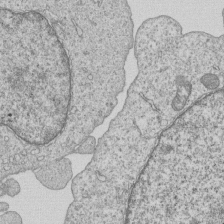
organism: Human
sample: MDA-MB-231 cells